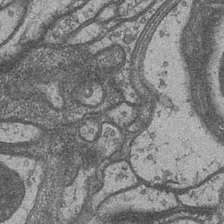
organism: Drosophila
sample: Optic medulla